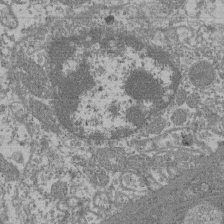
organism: Mouse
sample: Glomerulus